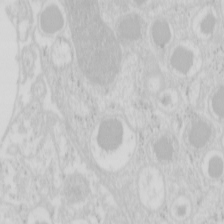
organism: Mouse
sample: Pancreas